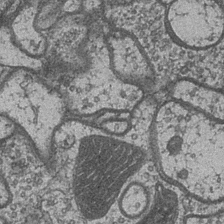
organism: Drosophila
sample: Optic medulla